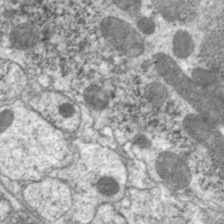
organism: C. elegans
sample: Pharynx